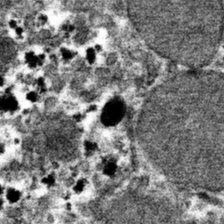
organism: Mouse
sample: Mouse hepatocytes